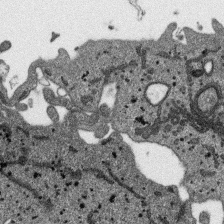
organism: Human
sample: Lung epithelial cells infected with SARS-CoV-2